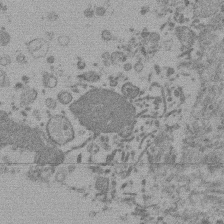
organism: Mouse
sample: Dividing mouse embryo 1 cell stage